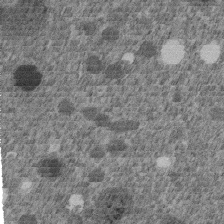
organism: C. elegans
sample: C. elegans embryo early stage